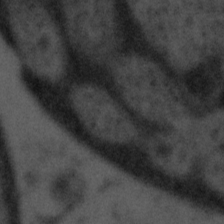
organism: Tuwongella immobilis